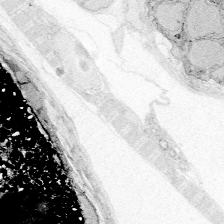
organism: Zebrafish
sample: Whole-Brain